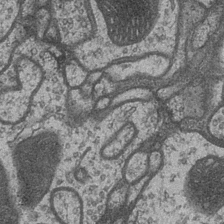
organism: Drosophila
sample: Optic medulla